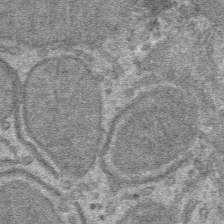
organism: Mouse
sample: Mouse hepatocytes